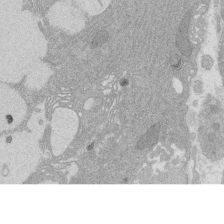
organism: Rat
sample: Salivary granule